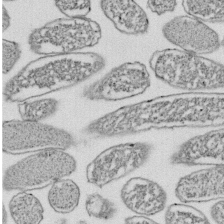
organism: E. coli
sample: Bacterial nucleoid